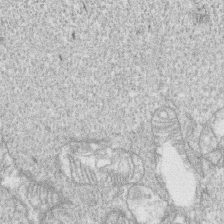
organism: Human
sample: HeLa cell HIV synapse